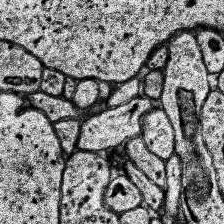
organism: Human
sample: Temporal Lobe